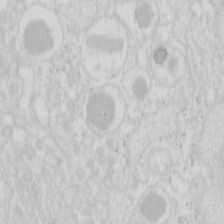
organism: Mouse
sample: Pancreas